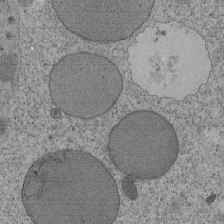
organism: Tetrahymena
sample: Cilia in tetrahymena